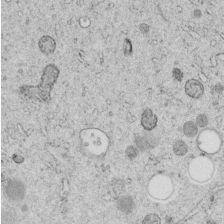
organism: C. elegans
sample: C. elegans embryo early stage